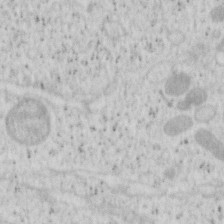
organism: Human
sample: HeLa cells